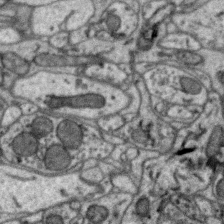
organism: Zebra finch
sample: Brain